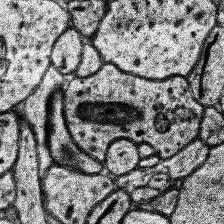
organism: Human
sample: Temporal Lobe